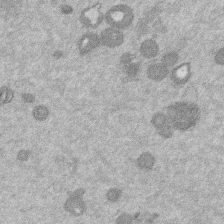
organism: Mouse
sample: Dividing mouse embryo 1 cell stage